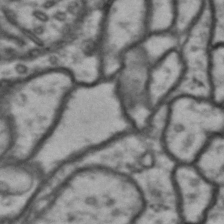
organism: Drosophila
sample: Brain